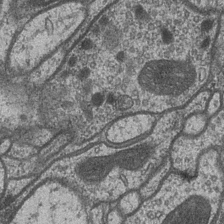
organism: Drosophila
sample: Optic medulla